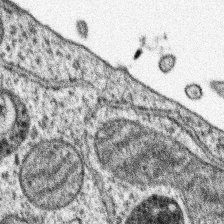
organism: Human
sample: HeLa cells